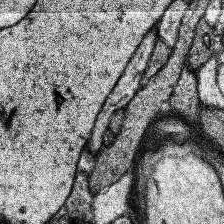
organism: Human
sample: Temporal Lobe